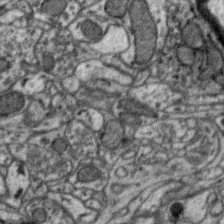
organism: Zebra finch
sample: Brain